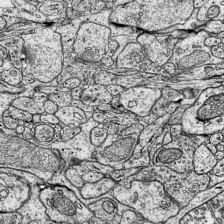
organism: Mouse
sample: Visual Cortex